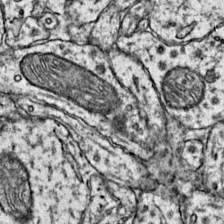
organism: Mouse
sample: Primary visual cortex